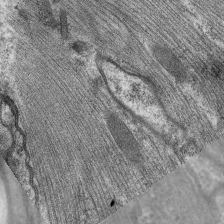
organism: C. elegans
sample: Pharynx